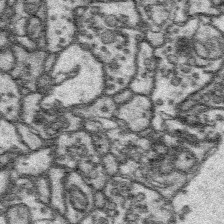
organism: Platynereis dumerilii